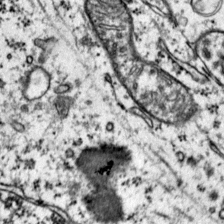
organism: Mouse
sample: Primary visual cortex